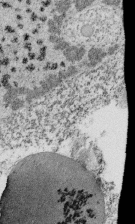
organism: Tetrahymena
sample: Cilia in tetrahymena